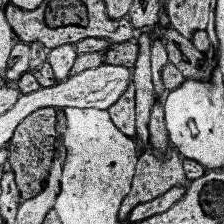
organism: Human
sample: Temporal Lobe